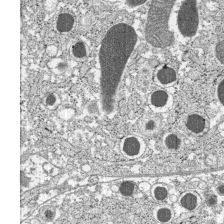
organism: C57BL Mouse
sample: Pancreatic islet